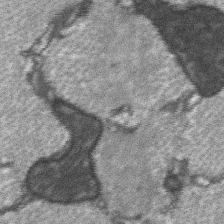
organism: C57BL Mouse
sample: Soleus